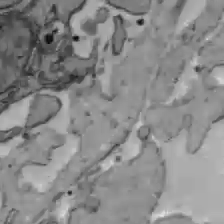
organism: C57BL Mouse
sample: Liver